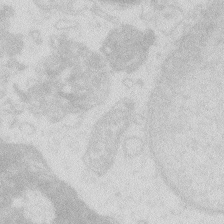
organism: Zebrafish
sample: Macrophage